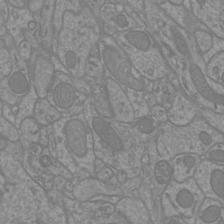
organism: Mouse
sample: Cortical neurons